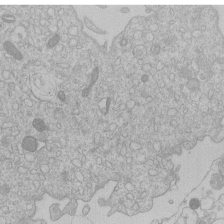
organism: Human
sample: Macrophage cells